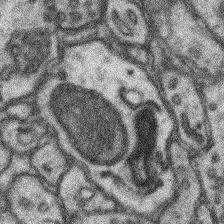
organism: Mouse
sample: Somatosensory cortex neuropil